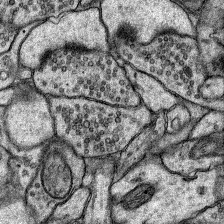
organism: Rat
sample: Hippocampus